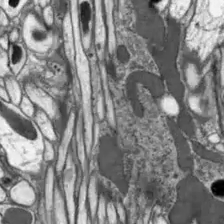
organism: Drosophila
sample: Optic lobe